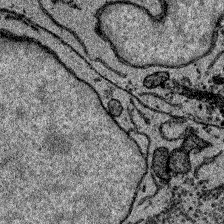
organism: Zebrafish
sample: Larval olfactory bulb